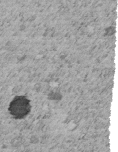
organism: C. elegans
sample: C. elegans embryo early stage